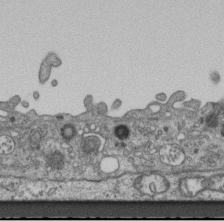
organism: Mouse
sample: Centriole in ependymal cells